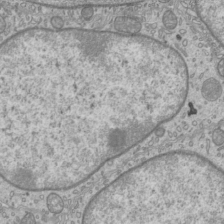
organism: Mouse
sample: Cilia; mouse epididymis